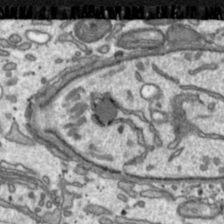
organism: Toxoplasma gondii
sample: Parasites in a vacuole inside a host cell